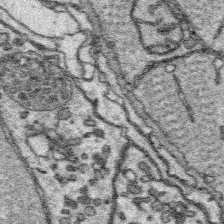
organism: Platynereis dumerilii